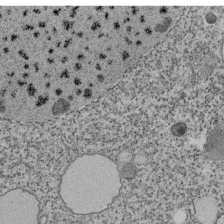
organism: Tetrahymena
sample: Cilia in tetrahymena